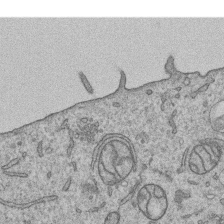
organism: Human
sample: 1205lu cells